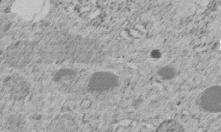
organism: C. elegans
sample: C. elegans embryo early stage